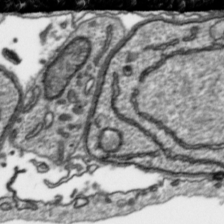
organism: Toxoplasma gondii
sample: Parasites in a vacuole inside a host cell